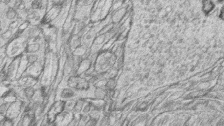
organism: Zebrafish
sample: synaptic ribbons in rod cells and cone cells